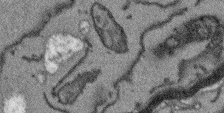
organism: Arabidopsis thaliana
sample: Root tip